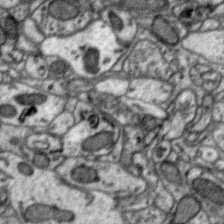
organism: Zebra finch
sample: Brain